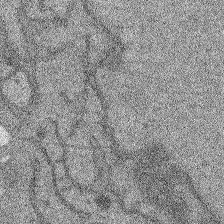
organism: Human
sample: HeLa cells